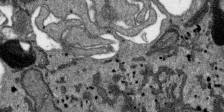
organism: Human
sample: Lung epithelial cells, uninfected (mock) control